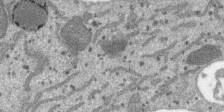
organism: Human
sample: Lung epithelial cells infected with SARS-CoV-2